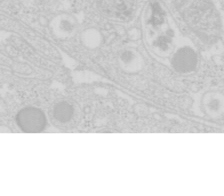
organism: Mouse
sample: Pancreas